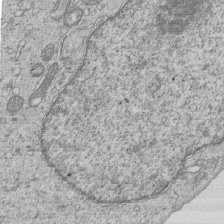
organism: Human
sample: MDA-MB-231 cells